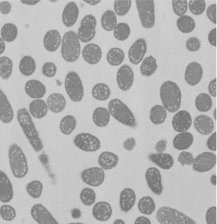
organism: E. coli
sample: Bacterial nucleoid